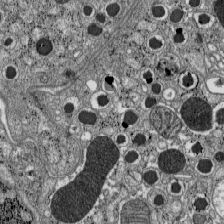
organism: C57BL Mouse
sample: Pancreatic islet